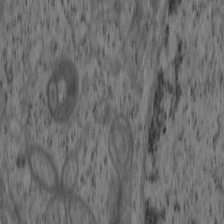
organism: Human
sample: HeLa cells